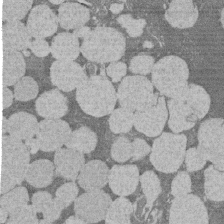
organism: Rat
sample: Salivary granule